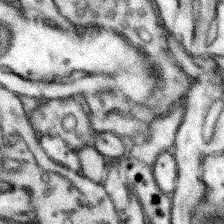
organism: Mouse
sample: Somatosensory cortex neuropil